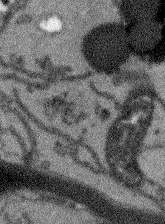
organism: Arabidopsis thaliana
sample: Root tip